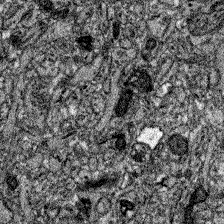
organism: Zebrafish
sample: Larval olfactory bulb